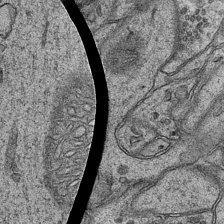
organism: Mouse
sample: CA1 Hippocampus